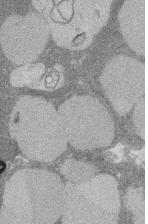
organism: Rat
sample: Salivary granule